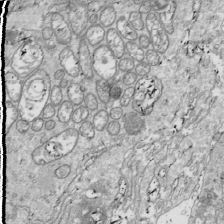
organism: Drosophila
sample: Cell division; meiosis; drosophila spermatocytes